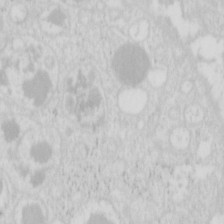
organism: Mouse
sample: Pancreas